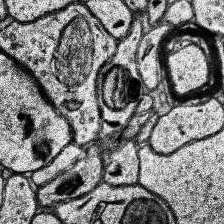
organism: Human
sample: Temporal Lobe